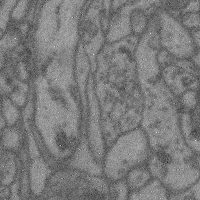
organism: Mouse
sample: Cerebral cortex